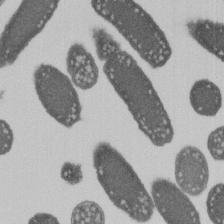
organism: E. coli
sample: Bacterial nucleoid